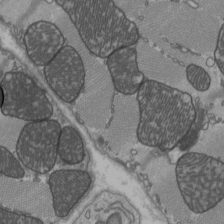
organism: C57BL Mouse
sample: Heart